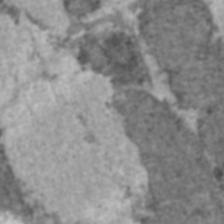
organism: C57BL Mouse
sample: Heart